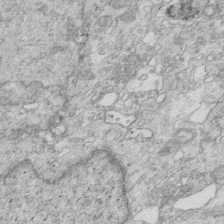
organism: Mouse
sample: Multiciliated cells